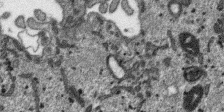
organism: Human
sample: Lung epithelial cells infected with SARS-CoV-2